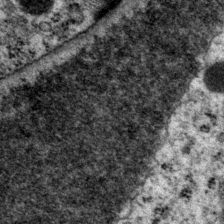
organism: P. pacificus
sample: Pharynx